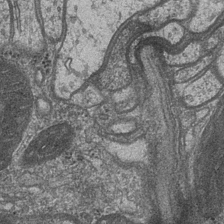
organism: Drosophila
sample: Optic medulla